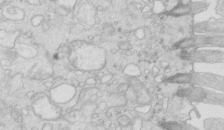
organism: Mouse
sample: Multiciliated cells